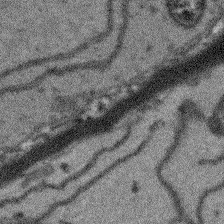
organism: Arabidopsis thaliana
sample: Root tip